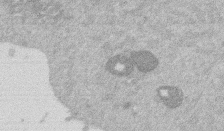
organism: Mouse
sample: Dividing mouse embryo 1 cell stage